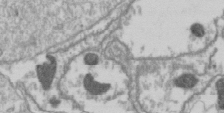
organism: Drosophila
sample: Cell division; meiosis; drosophila spermatocytes